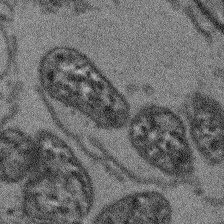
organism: Arabidopsis thaliana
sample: Root tip